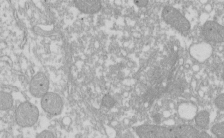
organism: Xenopus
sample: Cilia; centrioles in frog embryo cells